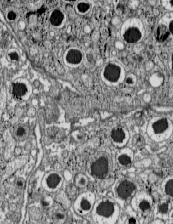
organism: C57BL Mouse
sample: Pancreatic islet